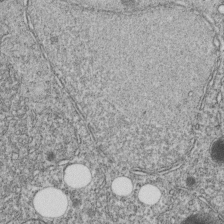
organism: C. elegans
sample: C. elegans embryo early stage